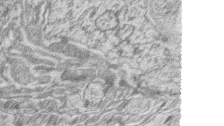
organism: Zebrafish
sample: synaptic ribbons in rod cells and cone cells